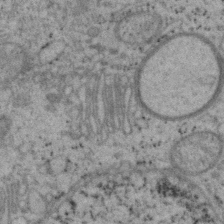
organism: Human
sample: HeLa cells